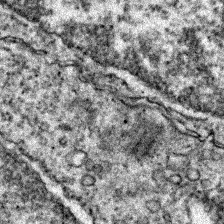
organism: Zebrafish